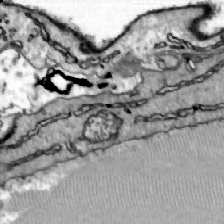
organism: Zebrafish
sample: Actinotrichia fibers